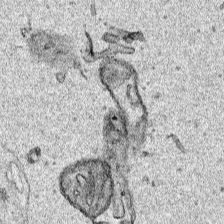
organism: Human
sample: Mitochondria in HCT116 cells